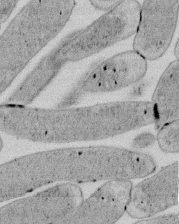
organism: E. coli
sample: Bacterial nucleoid